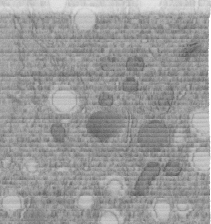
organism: C. elegans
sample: C. elegans embryo early stage